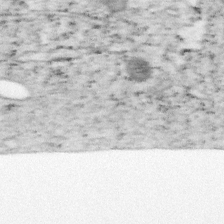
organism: Mouse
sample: OT-I killer T cells with ID8 ovarian cancer cells